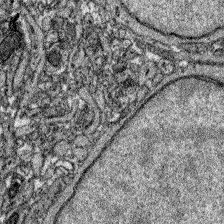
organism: Zebrafish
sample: Larval olfactory bulb